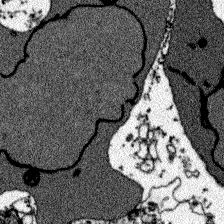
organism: Zebrafish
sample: Larval olfactory bulb